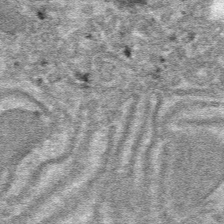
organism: Mouse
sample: Mouse hepatocytes